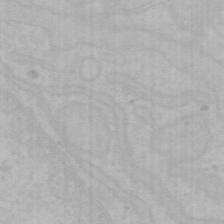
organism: Mouse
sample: Choroid plexus